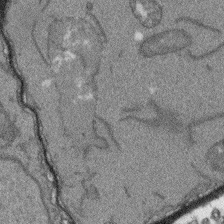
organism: Arabidopsis thaliana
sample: Root tip